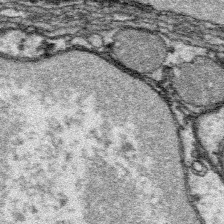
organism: Platynereis dumerilii